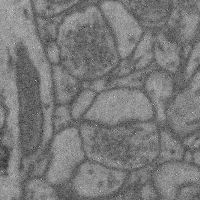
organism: Mouse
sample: Cerebral cortex